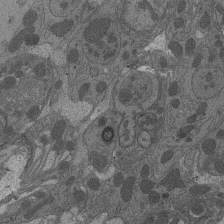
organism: Drosophila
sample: Antenna